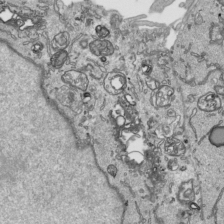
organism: Human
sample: Mitochondria in HCT116 cells